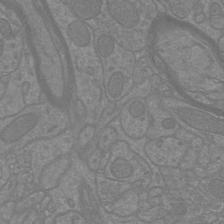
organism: Mouse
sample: Cortical neurons